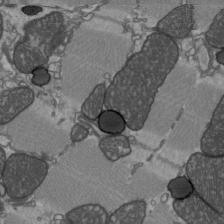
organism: C57BL Mouse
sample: Heart